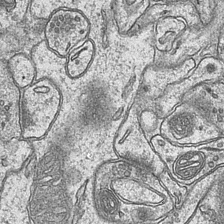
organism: Mouse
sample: CA1 Hippocampus